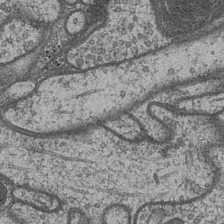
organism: Drosophila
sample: Optic medulla